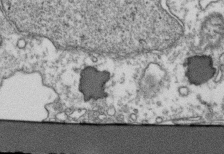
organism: Human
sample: Activated Jurkat CD4+ T cells